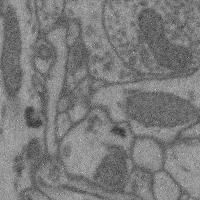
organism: Mouse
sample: Cerebral cortex